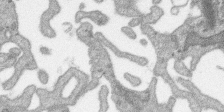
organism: Human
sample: Lung epithelial cells infected with SARS-CoV-2